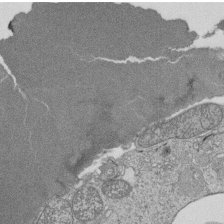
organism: Tetrahymena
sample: Cilia in tetrahymena